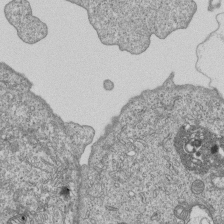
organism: Human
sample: MDA-MB-231 cells